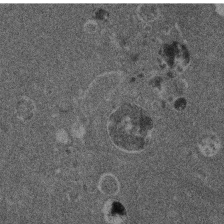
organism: Mouse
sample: Dividing mouse embryo 1 cell stage